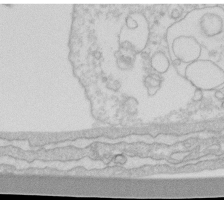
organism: Human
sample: Fibroblast cells